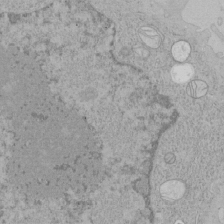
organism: Human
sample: Mitochondria in HCT116 cells